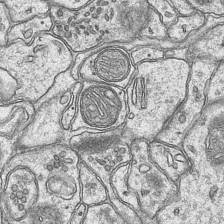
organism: Mouse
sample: CA1 Hippocampus